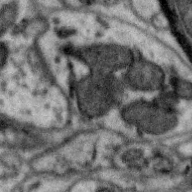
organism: Zebra finch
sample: Brain